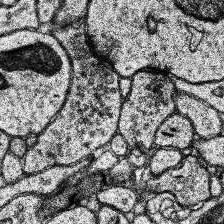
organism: Human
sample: Temporal Lobe